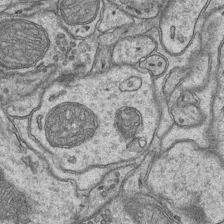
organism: Mouse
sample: CA1 Hippocampus